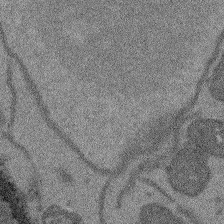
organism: Arabidopsis thaliana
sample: Root tip